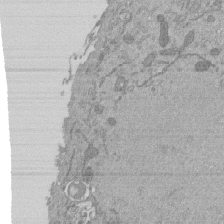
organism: Mouse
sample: ED-1 cell nuclei; centrioles